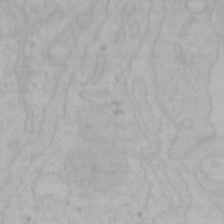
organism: Mouse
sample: Choroid plexus